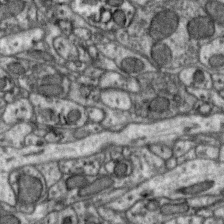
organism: Zebra finch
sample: Brain